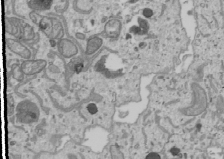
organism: Human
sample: Mitochondria in U2OS cells